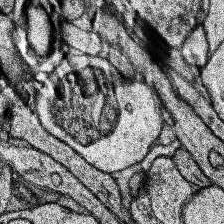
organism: Human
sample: Temporal Lobe